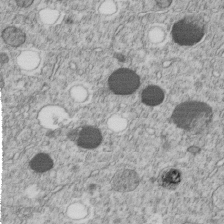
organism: C. elegans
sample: C. elegans embryo early stage